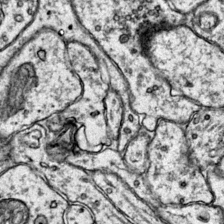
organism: Mouse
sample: Primary visual cortex